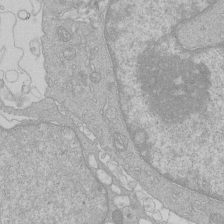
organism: Human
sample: Macrophage cells